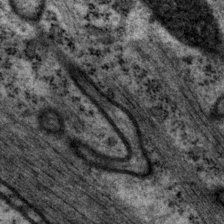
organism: P. pacificus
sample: Pharynx